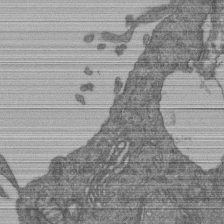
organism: Human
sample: Retinal organoid Rod and Cone cells